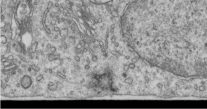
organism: Human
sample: Centriole in RPE cells